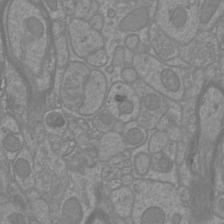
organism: Mouse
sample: Cortical neurons